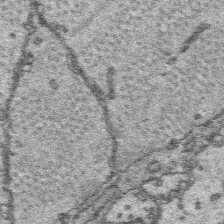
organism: Platynereis dumerilii